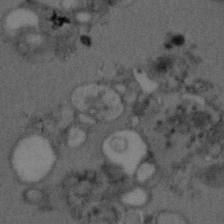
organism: Human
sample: HeLa cells